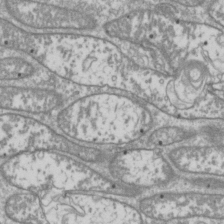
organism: Drosophila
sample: Cell division; meiosis; drosophila spermatocytes